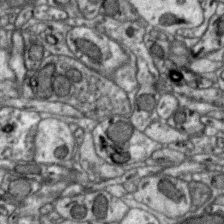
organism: Zebra finch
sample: Brain